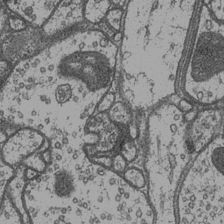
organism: Drosophila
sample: Optic medulla